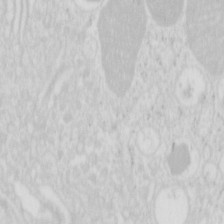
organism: Mouse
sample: Pancreas